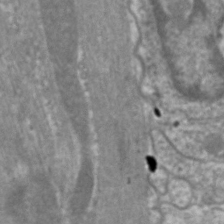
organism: C. elegans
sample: Pharynx